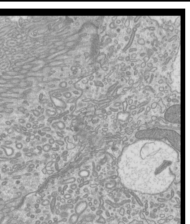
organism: Mouse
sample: Cilia; mouse epididymis